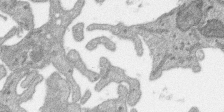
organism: Human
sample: Lung epithelial cells infected with SARS-CoV-2